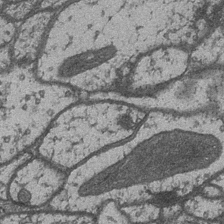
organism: Drosophila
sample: Optic medulla